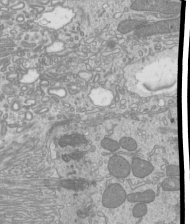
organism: Mouse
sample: Cilia; mouse epididymis